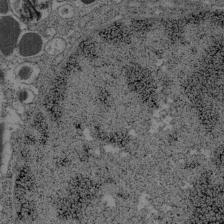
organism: C57BL Mouse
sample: Pancreatic islet